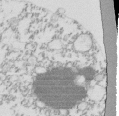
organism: Mouse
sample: Activated Pmel transgenic CD8+ T Cells